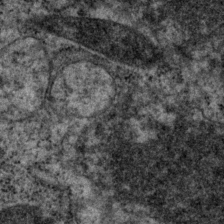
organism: P. pacificus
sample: Pharynx